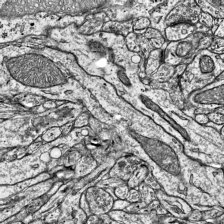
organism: Mouse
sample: Visual Cortex